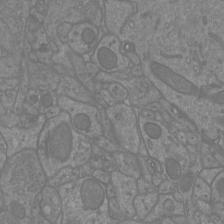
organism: Mouse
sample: Cortical neurons